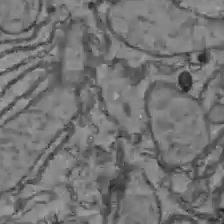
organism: C57BL Mouse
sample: Liver